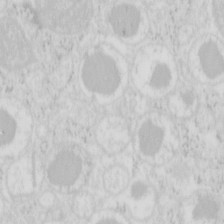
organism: Mouse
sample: Pancreas